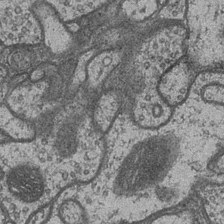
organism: Drosophila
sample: Optic medulla